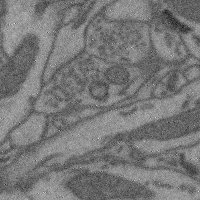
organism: Mouse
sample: Cerebral cortex